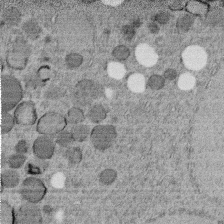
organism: C. elegans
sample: C. elegans embryo early stage